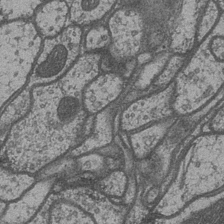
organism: Drosophila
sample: Optic medulla